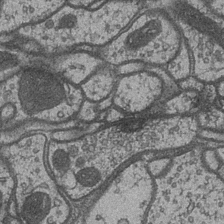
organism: Drosophila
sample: Optic medulla